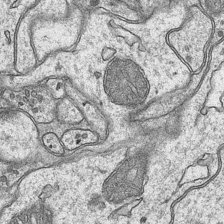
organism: Mouse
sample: CA1 Hippocampus